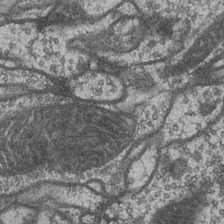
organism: Drosophila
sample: Optic medulla